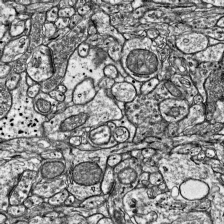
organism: Mouse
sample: Visual Cortex